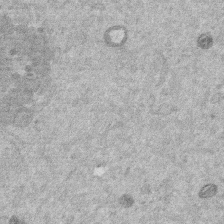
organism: Mouse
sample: Dividing mouse embryo 1 cell stage